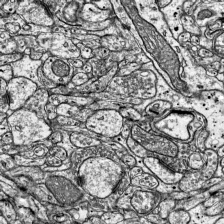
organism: Mouse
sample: Visual Cortex